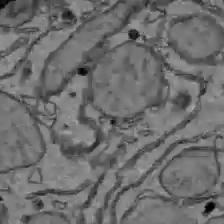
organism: C57BL Mouse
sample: Liver